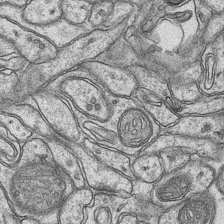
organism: Mouse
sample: CA1 Hippocampus